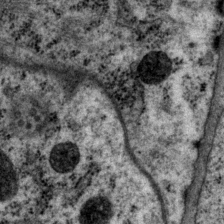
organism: P. pacificus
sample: Pharynx